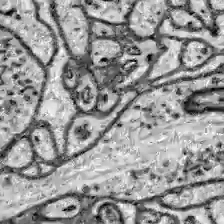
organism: Zebrafish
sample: Brain